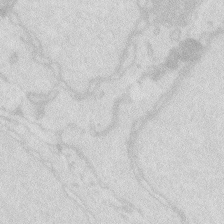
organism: Zebrafish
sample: Macrophage